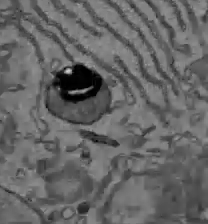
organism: C57BL Mouse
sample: Liver